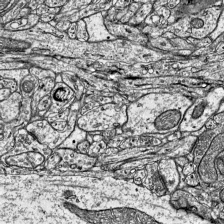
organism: Mouse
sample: Visual Cortex